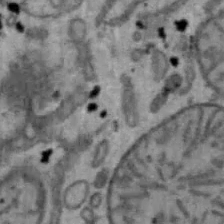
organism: Mouse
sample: Liver